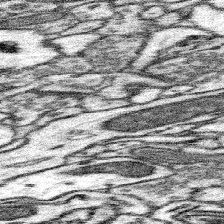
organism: Mouse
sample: Somatosensory cortex neuropil